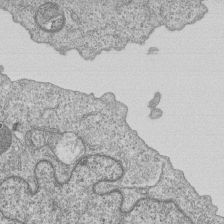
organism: Human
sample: MDA-MB-231 cells